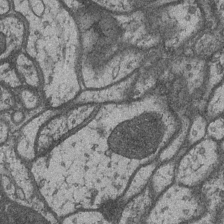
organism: Drosophila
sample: Optic medulla